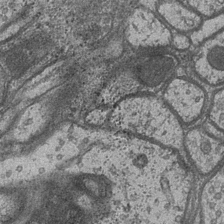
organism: Drosophila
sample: Optic medulla